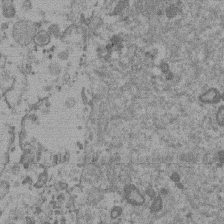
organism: Mouse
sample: Dividing mouse embryo 1 cell stage